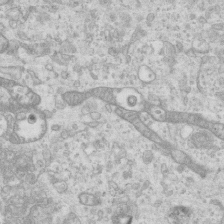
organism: Mouse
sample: Centriole in ependymal cells